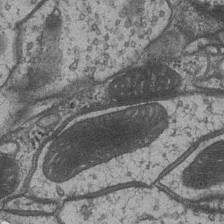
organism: Drosophila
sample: Optic medulla